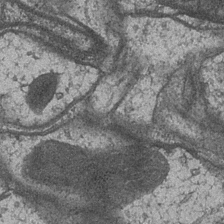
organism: Drosophila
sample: Optic medulla